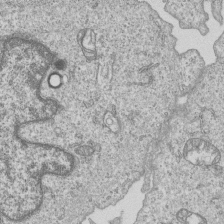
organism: Human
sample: MDA-MB-231 cells